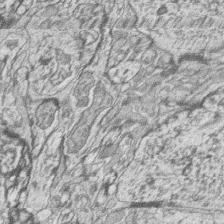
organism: Zebrafish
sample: synaptic ribbons in rod cells and cone cells